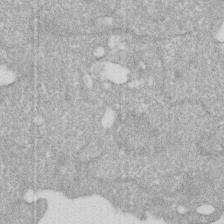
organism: Human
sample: HIV infected U937 cells